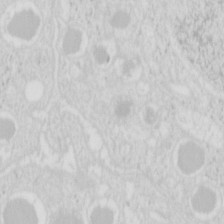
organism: Mouse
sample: Pancreas